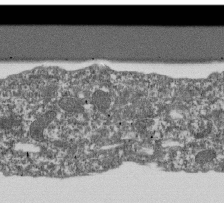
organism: Dictyostelium discoideum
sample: Dictyostelium multivesicular bodies